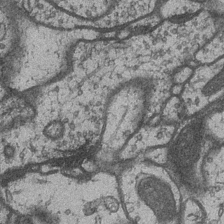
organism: Drosophila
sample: Optic medulla